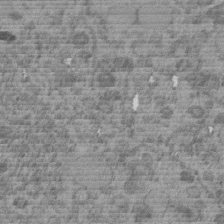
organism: C. elegans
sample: C. elegans embryo early stage